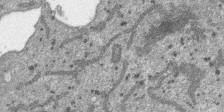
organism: Human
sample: Lung epithelial cells infected with SARS-CoV-2